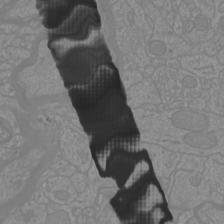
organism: Mouse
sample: Cortical neurons